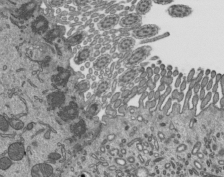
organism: Mouse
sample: Mouse epididymis efferent ductule cilia